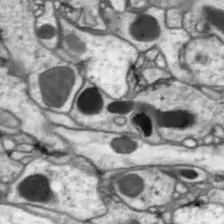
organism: Drosophila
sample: Optic lobe